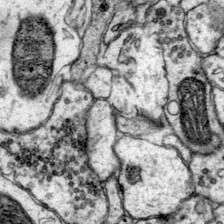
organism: Mouse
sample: Primary visual cortex